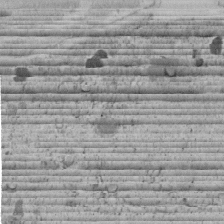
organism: C. elegans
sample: C. elegans embryo early stage